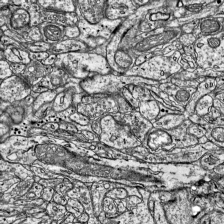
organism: Mouse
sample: Visual Cortex